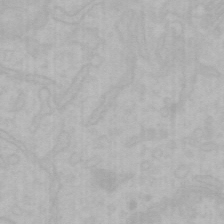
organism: Mouse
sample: Choroid plexus